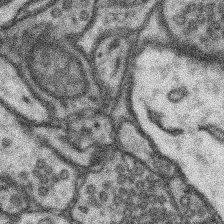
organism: Mouse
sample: Somatosensory cortex neuropil